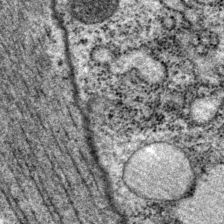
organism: P. pacificus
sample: Pharynx